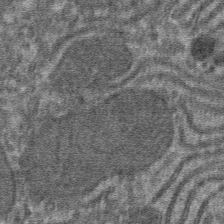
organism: Mouse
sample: Mouse hepatocytes